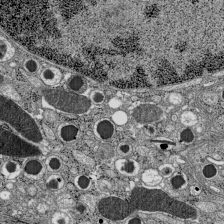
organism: C57BL Mouse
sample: Pancreatic islet